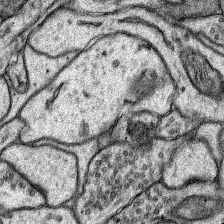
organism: Rat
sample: Hippocampus